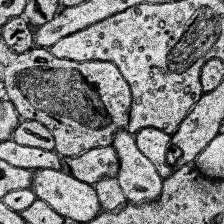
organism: Human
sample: Temporal Lobe